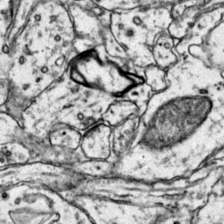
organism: Mouse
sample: Primary visual cortex